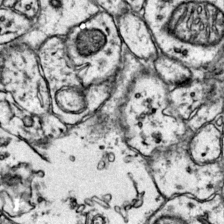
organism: Mouse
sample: Primary visual cortex